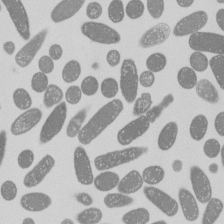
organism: E. coli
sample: Bacterial nucleoid